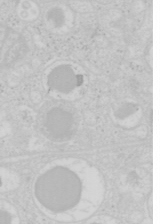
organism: Mouse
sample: Pancreas